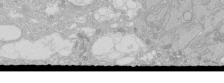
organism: Human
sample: Caco-2 cells